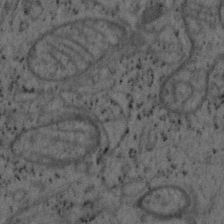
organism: Human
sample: HeLa cells